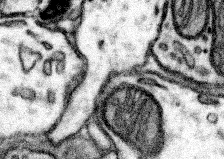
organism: Mouse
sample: Somatosensory cortex neuropil